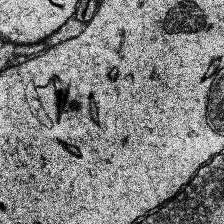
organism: Human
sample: Temporal Lobe